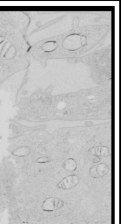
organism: Human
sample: Mitochondria in HCT116 cells